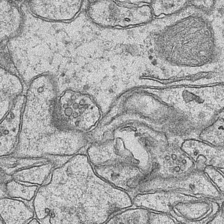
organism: Mouse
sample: CA1 Hippocampus